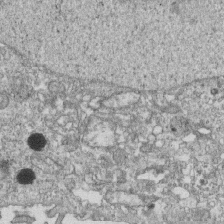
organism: Human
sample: HeLa cell HIV synapse